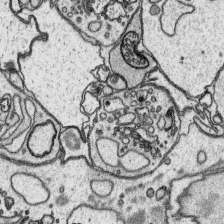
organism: Platynereis dumerilii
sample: Parapodia